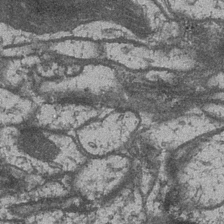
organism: Drosophila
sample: Optic medulla